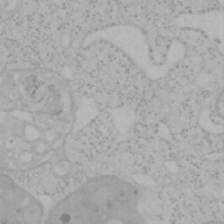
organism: Mouse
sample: OT-I killer T cells with ID8 ovarian cancer cells